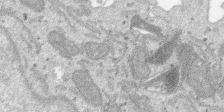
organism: Human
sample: Lung epithelial cells infected with SARS-CoV-2